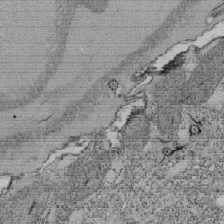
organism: Tetrahymena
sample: Cilia in tetrahymena